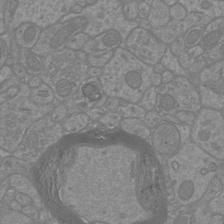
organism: Mouse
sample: Cortical neurons